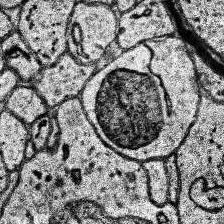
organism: Human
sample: Temporal Lobe